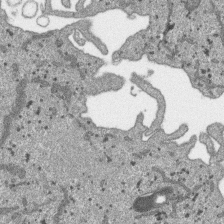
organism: Human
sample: Lung epithelial cells infected with SARS-CoV-2